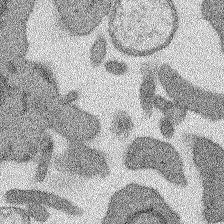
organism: Human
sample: HeLa cells